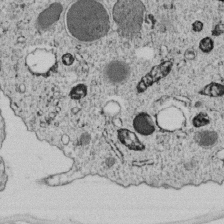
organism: C. elegans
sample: C. elegans embryo early stage